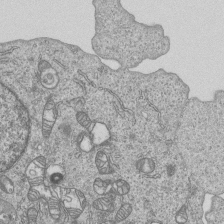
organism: Human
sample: MDA-MB-231 cells